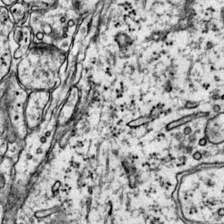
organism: Mouse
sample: Primary visual cortex